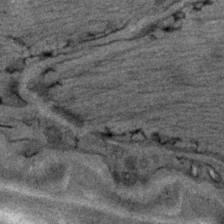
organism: C. elegans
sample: C. elegans embryo